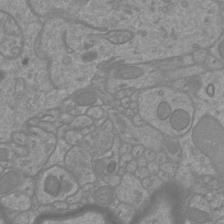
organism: Mouse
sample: Cortical neurons